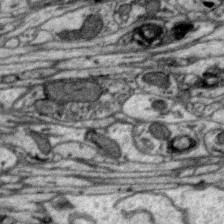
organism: Zebra finch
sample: Brain